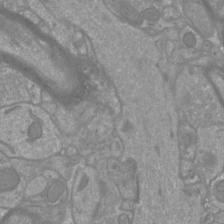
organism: Mouse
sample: Cortical neurons